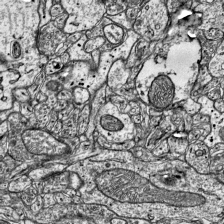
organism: Mouse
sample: Visual Cortex